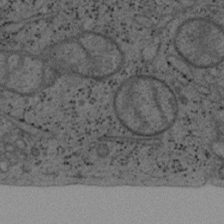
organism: Human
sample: HeLa cells